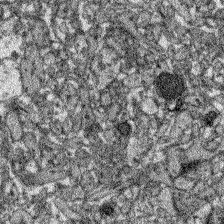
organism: Zebrafish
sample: Larval olfactory bulb